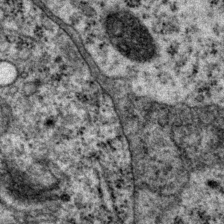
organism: P. pacificus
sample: Pharynx